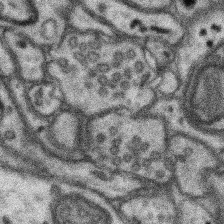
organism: Mouse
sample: Somatosensory cortex neuropil